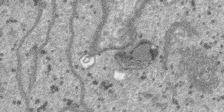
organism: Human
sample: Lung epithelial cells infected with SARS-CoV-2